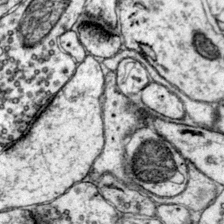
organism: Mouse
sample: Primary visual cortex